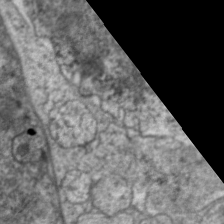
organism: C. elegans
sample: Pharynx